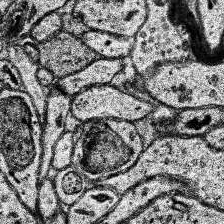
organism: Human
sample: Temporal Lobe